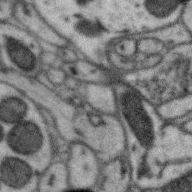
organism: Zebra finch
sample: Brain